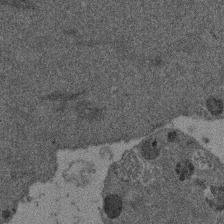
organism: Mouse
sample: Dividing mouse embryo 1 cell stage